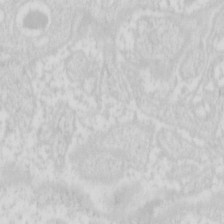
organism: Mouse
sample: Pancreas